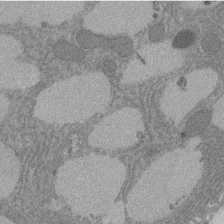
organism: Rat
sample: Salivary granule